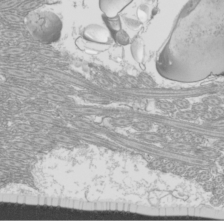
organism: Mouse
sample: Cilia; mouse epididymis